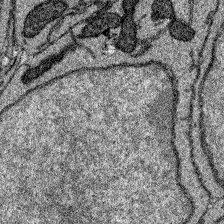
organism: Zebrafish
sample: Larval olfactory bulb